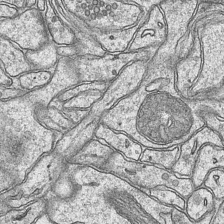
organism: Mouse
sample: CA1 Hippocampus